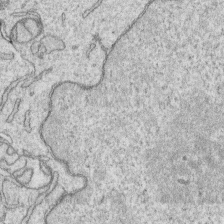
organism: Human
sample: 1205lu cells